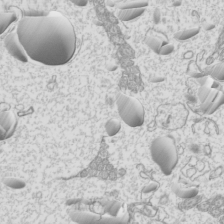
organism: Mouse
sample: Cilia; mouse epididymis